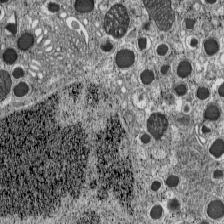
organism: C57BL Mouse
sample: Pancreatic islet